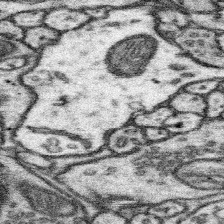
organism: Mouse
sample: Somatosensory cortex neuropil